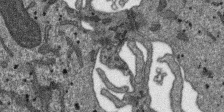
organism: Human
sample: Lung epithelial cells infected with SARS-CoV-2